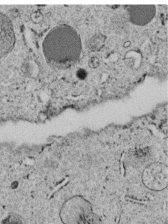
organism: C. elegans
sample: C. elegans embryo early stage